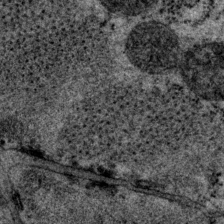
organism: P. pacificus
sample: Pharynx